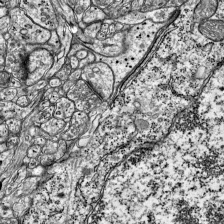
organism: Mouse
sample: Visual Cortex